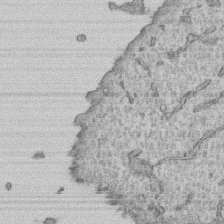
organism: Human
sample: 1205lu cells